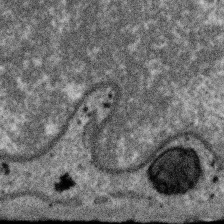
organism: Human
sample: Lung epithelial cells infected with SARS-CoV-2